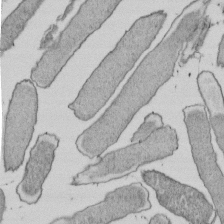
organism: E. coli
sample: Bacterial nucleoid